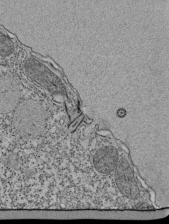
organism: Tetrahymena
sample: Cilia in tetrahymena